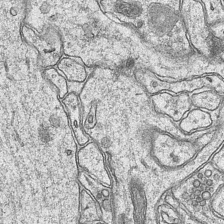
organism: Mouse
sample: CA1 Hippocampus